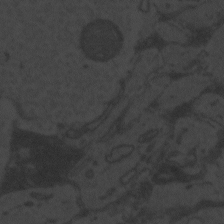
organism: Zebrafish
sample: Macrophage infected with Toxoplasma gondii